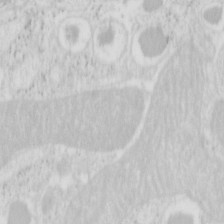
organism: Mouse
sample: Pancreas